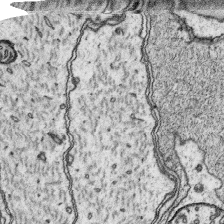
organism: Platynereis dumerilii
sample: Parapodia